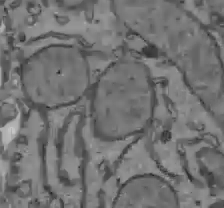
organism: C57BL Mouse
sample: Liver